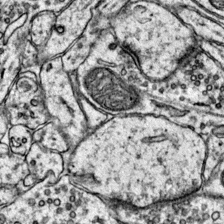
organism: Mouse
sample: Primary visual cortex